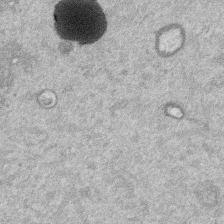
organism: Mouse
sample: Dividing mouse embryo 1 cell stage